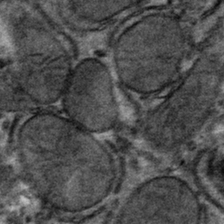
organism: Mouse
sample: Mouse hepatocytes